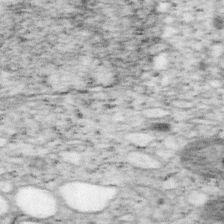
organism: Mouse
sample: OT-I killer T cells with ID8 ovarian cancer cells